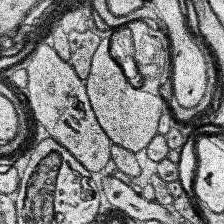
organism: Human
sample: Temporal Lobe